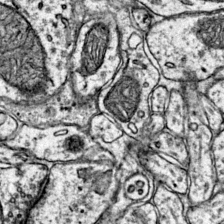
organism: Mouse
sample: Primary visual cortex